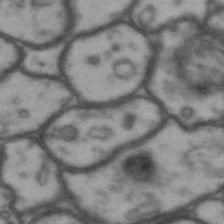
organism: Drosophila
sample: Brain